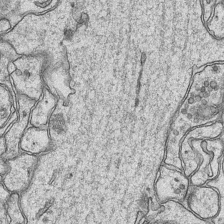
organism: Mouse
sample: CA1 Hippocampus